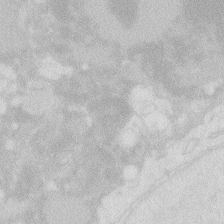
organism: Zebrafish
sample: Macrophage